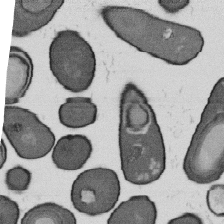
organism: B. subtilis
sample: Bacterial spore